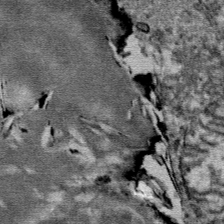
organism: Mouse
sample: Mouse Salivary gland